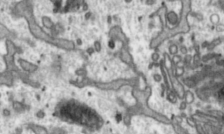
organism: Toxoplasma gondii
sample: Parasites in a vacuole inside a host cell